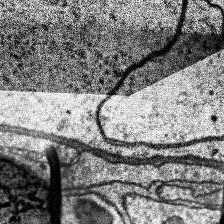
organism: Human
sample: Temporal Lobe